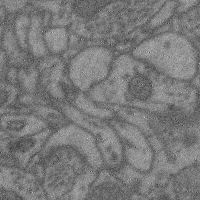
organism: Mouse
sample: Cerebral cortex